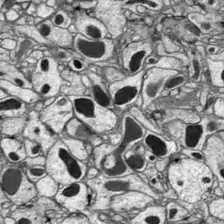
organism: Drosophila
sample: Optic lobe